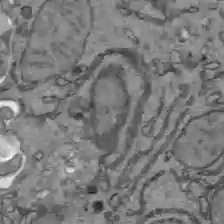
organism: C57BL Mouse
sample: Liver